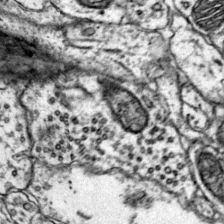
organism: Mouse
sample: Primary visual cortex